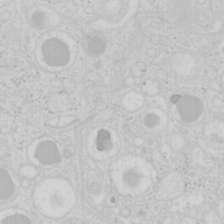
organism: Mouse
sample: Pancreas